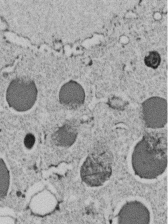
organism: C. elegans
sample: C. elegans embryo early stage